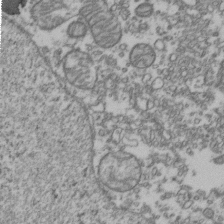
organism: Human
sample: Activated Jurkat CD4+ T cells